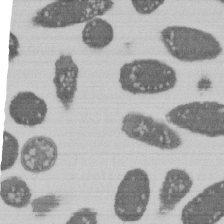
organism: E. coli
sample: Bacterial nucleoid